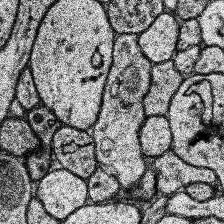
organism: Human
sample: Temporal Lobe